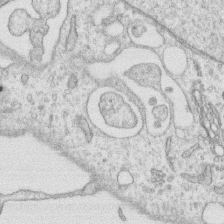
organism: Human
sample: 1205lu cells